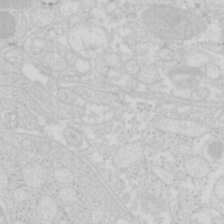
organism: Mouse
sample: Pancreas